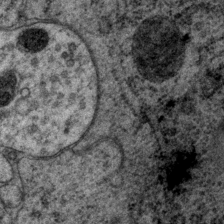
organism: P. pacificus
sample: Pharynx